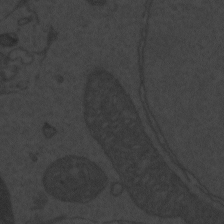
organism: Zebrafish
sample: Macrophage infected with Toxoplasma gondii